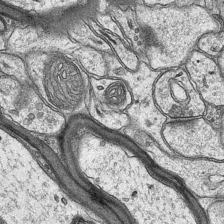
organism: Mouse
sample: CA1 Hippocampus